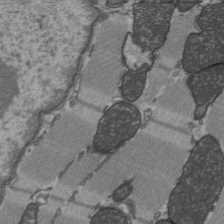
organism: C57BL Mouse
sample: Heart